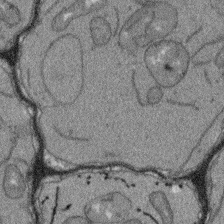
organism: Arabidopsis thaliana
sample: Root tip